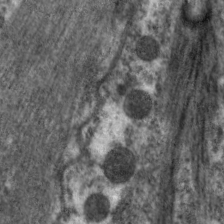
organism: C. elegans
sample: Pharynx